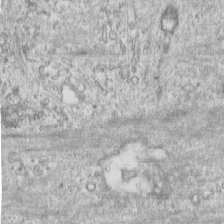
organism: Human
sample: Centriole in RPE cells